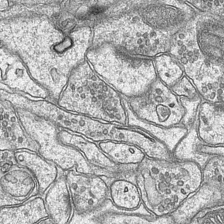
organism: Mouse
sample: CA1 Hippocampus